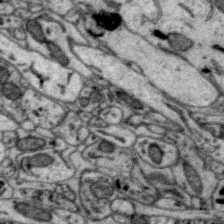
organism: Zebra finch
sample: Brain